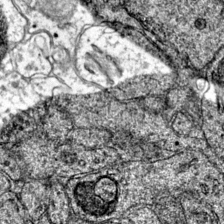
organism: Mouse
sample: Primary visual cortex